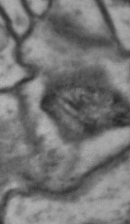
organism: Drosophila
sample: Brain